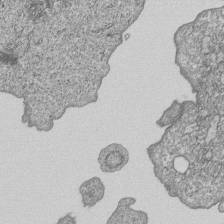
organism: Human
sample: MDA-MB-231 cells